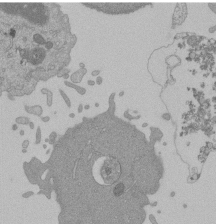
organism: Mouse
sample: Activated Pmel transgenic CD8+ T Cells